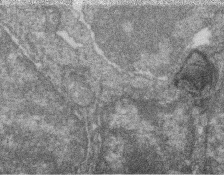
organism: Zebrafish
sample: Cilia; retinal pigment epithelium